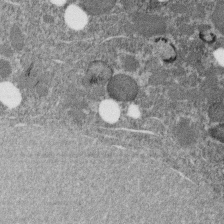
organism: C. elegans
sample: C. elegans embryo early stage